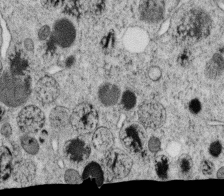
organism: C. elegans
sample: C. elegans oocyte; sperm cells